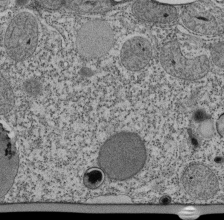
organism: Tetrahymena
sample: Cilia in tetrahymena